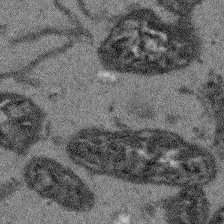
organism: Arabidopsis thaliana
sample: Root tip